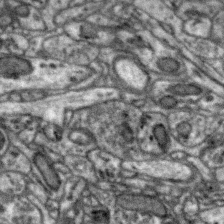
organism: Zebra finch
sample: Brain